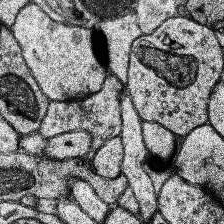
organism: Human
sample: Temporal Lobe